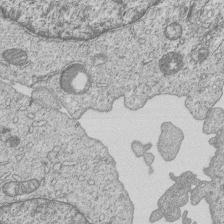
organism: Human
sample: MDA-MB-231 cells